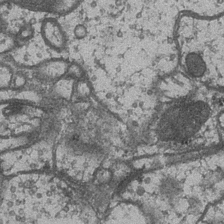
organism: Drosophila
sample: Optic medulla